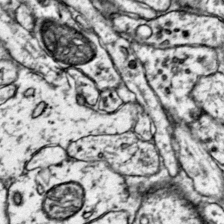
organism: Mouse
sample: Primary visual cortex